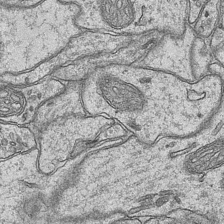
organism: Mouse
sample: CA1 Hippocampus